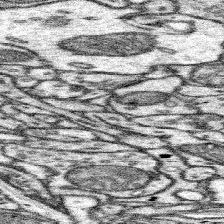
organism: Mouse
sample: Somatosensory cortex neuropil